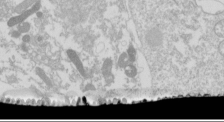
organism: Drosophila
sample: Cell division; meiosis; drosophila spermatocytes